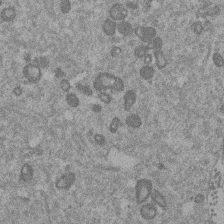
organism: Mouse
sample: Dividing mouse embryo 1 cell stage